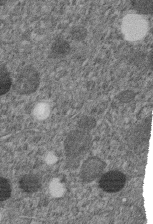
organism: C. elegans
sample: C. elegans embryo early stage